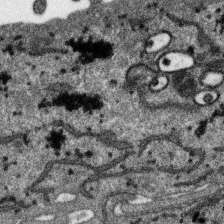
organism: Human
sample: Lung epithelial cells infected with SARS-CoV-2